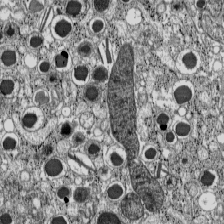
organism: C57BL Mouse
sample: Pancreatic islet